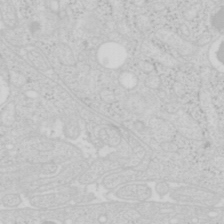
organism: Mouse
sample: Pancreas